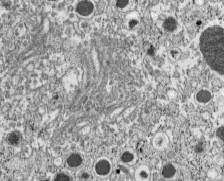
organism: C57BL Mouse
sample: Pancreatic islet